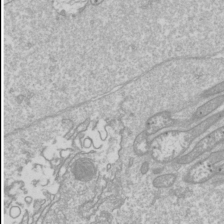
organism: Drosophila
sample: Cell division; meiosis; drosophila spermatocytes